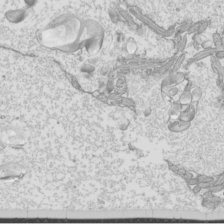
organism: Mouse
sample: Cilia; mouse epididymis